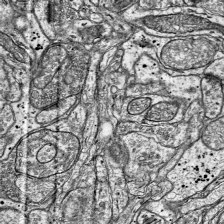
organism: Mouse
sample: Visual Cortex